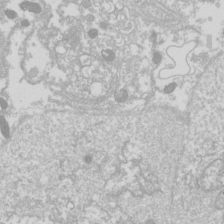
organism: Drosophila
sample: Cell division; meiosis; drosophila spermatocytes